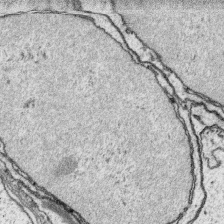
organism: Platynereis dumerilii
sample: Parapodia